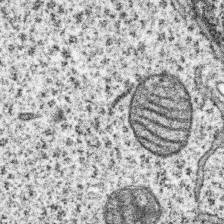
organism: Human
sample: HeLa cells